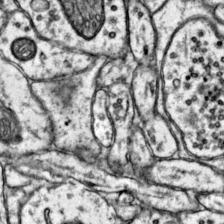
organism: Mouse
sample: Primary visual cortex